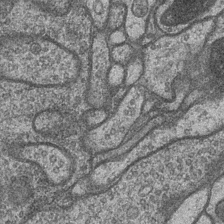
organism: Drosophila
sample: Optic medulla